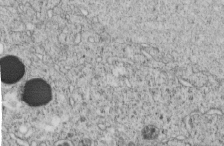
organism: C. elegans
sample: C. elegans embryo early stage